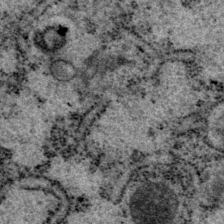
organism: P. pacificus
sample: Pharynx